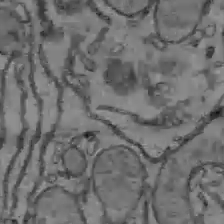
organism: C57BL Mouse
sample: Liver